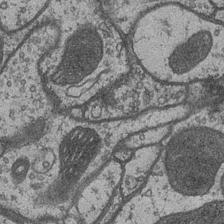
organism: Drosophila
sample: Optic medulla